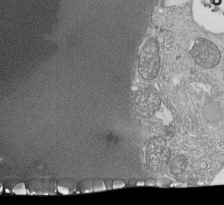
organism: Tetrahymena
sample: Cilia in tetrahymena